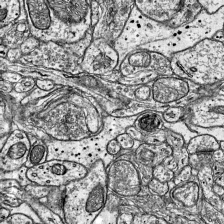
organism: Mouse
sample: Visual Cortex